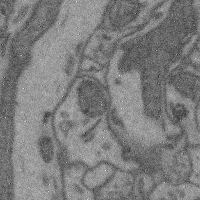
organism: Mouse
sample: Cerebral cortex